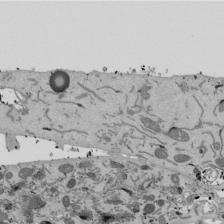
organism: Mouse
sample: ED-1 cell nuclei; centrioles